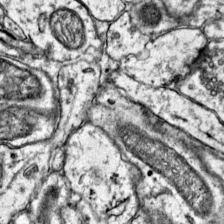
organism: Mouse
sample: Primary visual cortex